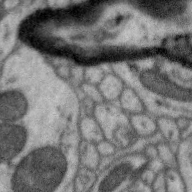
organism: Zebra finch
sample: Brain